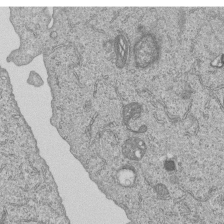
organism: Human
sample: MDA-MB-231 cells